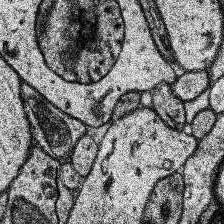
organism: Human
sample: Temporal Lobe